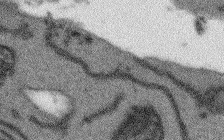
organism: Arabidopsis thaliana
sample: Root tip